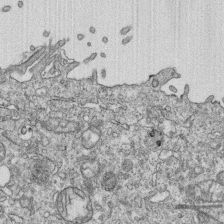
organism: Human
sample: HeLa cell HIV synapse